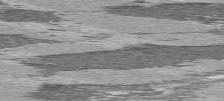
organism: C57BL Mouse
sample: Heart